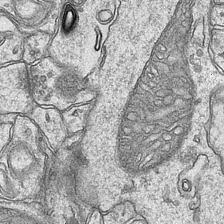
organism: Mouse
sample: CA1 Hippocampus